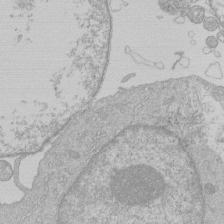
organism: Human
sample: Macrophage cells